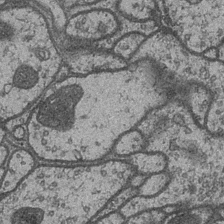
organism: Drosophila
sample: Optic medulla